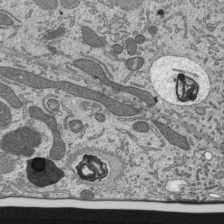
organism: Mouse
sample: Mouse epididymis efferent ductule cilia